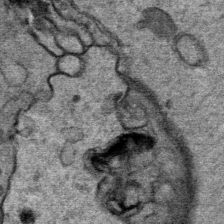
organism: Mouse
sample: Mouse Salivary gland